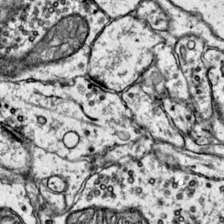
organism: Mouse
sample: Primary visual cortex